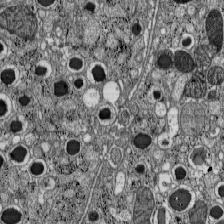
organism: C57BL Mouse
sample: Pancreatic islet